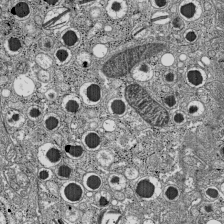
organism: C57BL Mouse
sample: Pancreatic islet